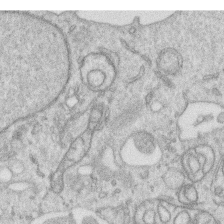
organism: Human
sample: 1205lu cells